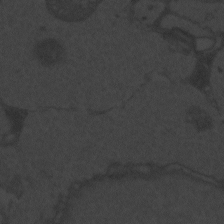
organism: Zebrafish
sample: Macrophage infected with Toxoplasma gondii